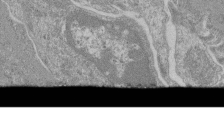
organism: Mouse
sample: Glomerulus